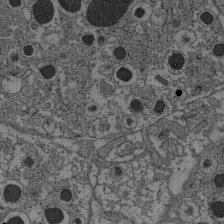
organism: C57BL Mouse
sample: Pancreatic islet